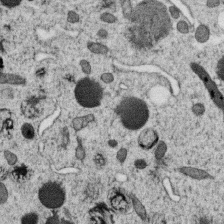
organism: C. elegans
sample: C. elegans oocyte; sperm cells